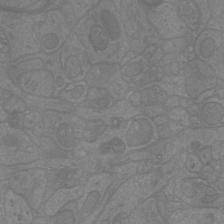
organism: Mouse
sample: Cortical neurons